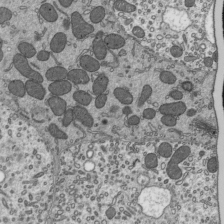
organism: Mouse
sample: Mouse epididymis efferent ductule cilia